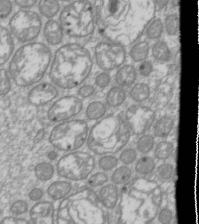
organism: Drosophila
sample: Cell division; meiosis; drosophila spermatocytes